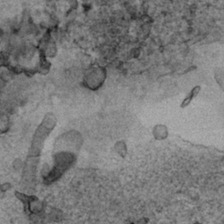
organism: Human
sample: Mitochondria in HCT116 cells